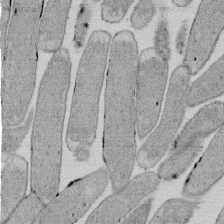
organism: E. coli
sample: Bacterial nucleoid